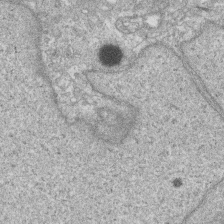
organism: Human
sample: HeLa cell HIV synapse